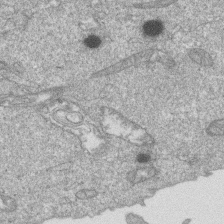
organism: Human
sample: HeLa cell HIV synapse